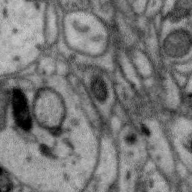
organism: Zebra finch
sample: Brain